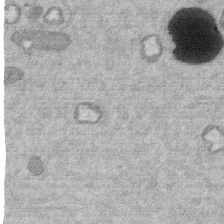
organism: Mouse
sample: Dividing mouse embryo 1 cell stage